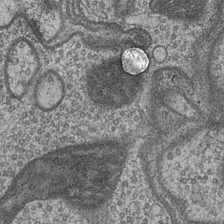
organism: Drosophila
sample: Optic medulla